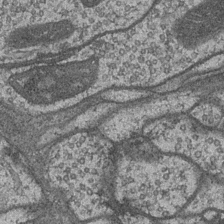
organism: Drosophila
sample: Optic medulla